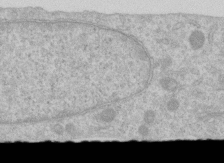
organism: Human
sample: Centriole in RPE cells